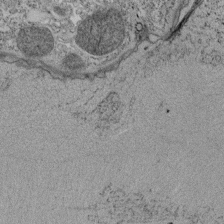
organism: Tetrahymena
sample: Cilia in tetrahymena